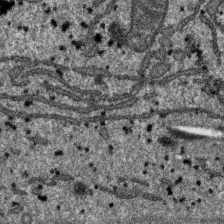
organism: Human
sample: Lung epithelial cells infected with SARS-CoV-2